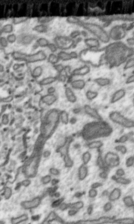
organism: Toxoplasma gondii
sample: Parasites in a vacuole inside a host cell